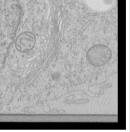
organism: Human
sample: Mitochondria in HCT116 cells